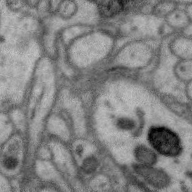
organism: Zebra finch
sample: Brain